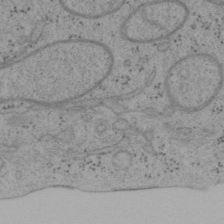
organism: Human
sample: HeLa cells